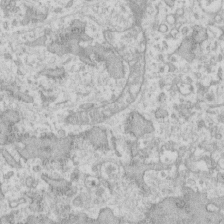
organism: Human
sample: Fibroblast cells